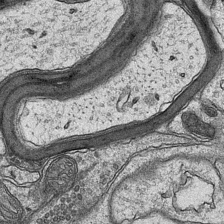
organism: Mouse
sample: CA1 Hippocampus